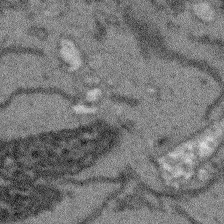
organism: Arabidopsis thaliana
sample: Root tip